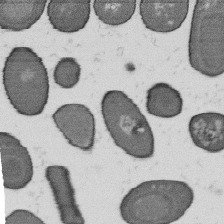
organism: B. subtilis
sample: Bacterial spore